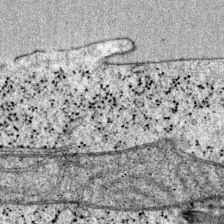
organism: Human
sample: HeLa cells